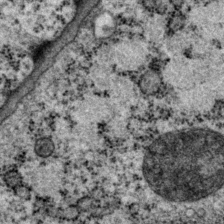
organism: P. pacificus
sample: Pharynx